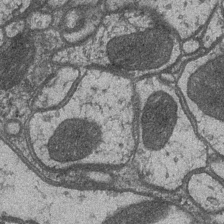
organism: Drosophila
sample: Optic medulla